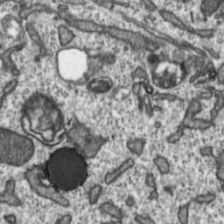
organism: Toxoplasma gondii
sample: Parasites in a vacuole inside a host cell